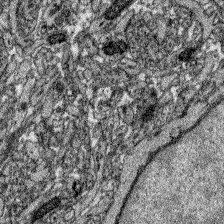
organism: Zebrafish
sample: Larval olfactory bulb